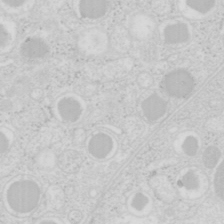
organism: Mouse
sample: Pancreas